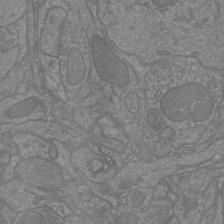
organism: Mouse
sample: Cortical neurons